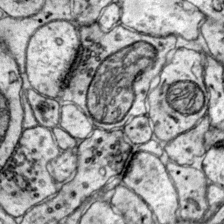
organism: Mouse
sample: Primary visual cortex